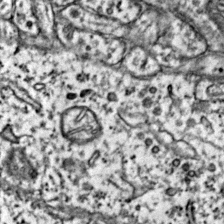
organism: Mouse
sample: Primary visual cortex